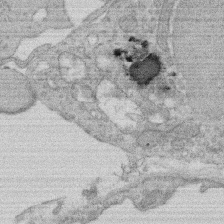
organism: Rat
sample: Salivary granule